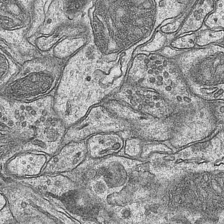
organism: Mouse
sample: CA1 Hippocampus